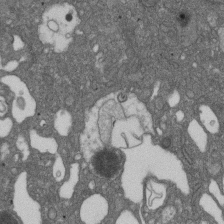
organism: Drosophila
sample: Nephrocyte